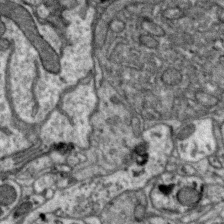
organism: Zebra finch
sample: Brain